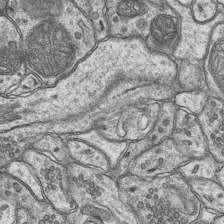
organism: Mouse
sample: CA1 Hippocampus